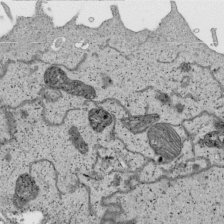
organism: Human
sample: Mitochondria in HCT116 cells